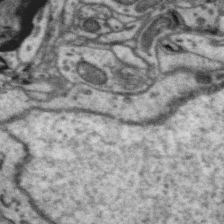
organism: Zebra finch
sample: Brain